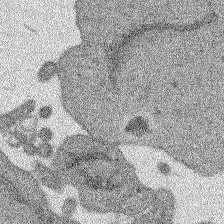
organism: Human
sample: HeLa cells